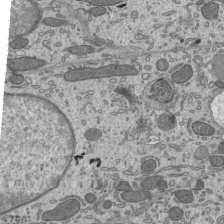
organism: Mouse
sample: Mouse epididymis efferent ductule cilia